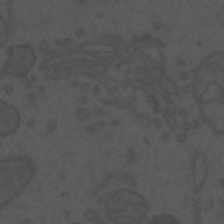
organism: Mouse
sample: Suprachiasmatic nucleus